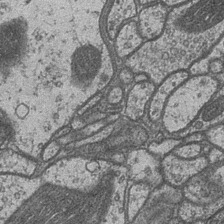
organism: Drosophila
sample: Optic medulla